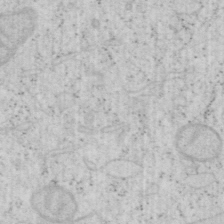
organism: Human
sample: HeLa cells